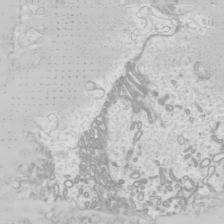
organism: Mouse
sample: Cilia; mouse epididymis